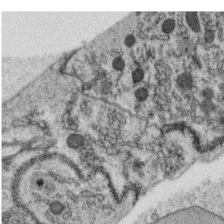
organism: C. elegans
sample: C. elegans oocyte; sperm cells